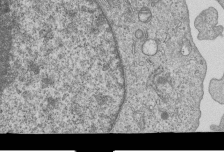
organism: Human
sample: MDA-MB-231 cells